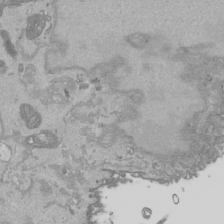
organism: Human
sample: Mitochondria in HCT116 cells